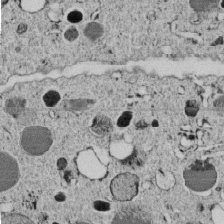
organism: C. elegans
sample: C. elegans embryo early stage